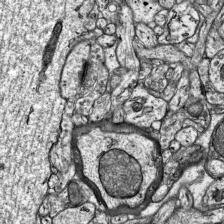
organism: Mouse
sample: Visual Cortex